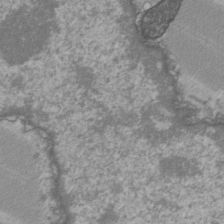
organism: C57BL Mouse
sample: Heart